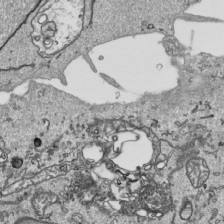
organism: Human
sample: Mitochondria in HCT116 cells